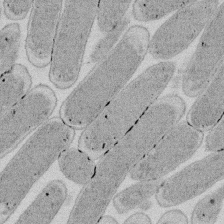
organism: E. coli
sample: Bacterial nucleoid